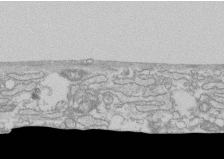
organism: Human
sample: CRL-1474